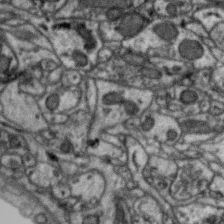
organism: Zebra finch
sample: Brain